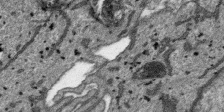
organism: Human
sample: Lung epithelial cells, uninfected (mock) control